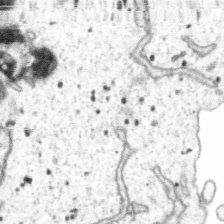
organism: Human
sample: HeLa cells